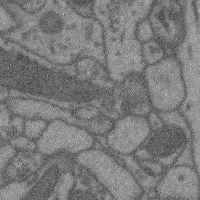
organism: Mouse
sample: Cerebral cortex